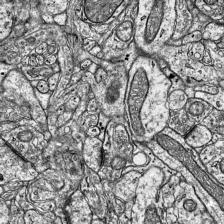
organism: Mouse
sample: Visual Cortex